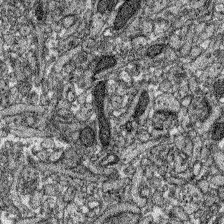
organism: Zebrafish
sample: Larval olfactory bulb